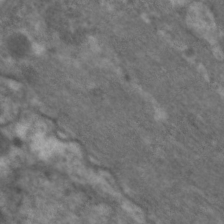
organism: C. elegans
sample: Pharynx